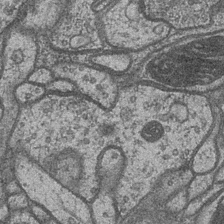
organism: Drosophila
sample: Optic medulla